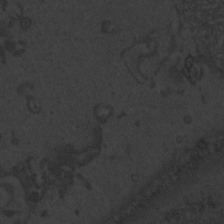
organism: Zebrafish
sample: Macrophage infected with Toxoplasma gondii